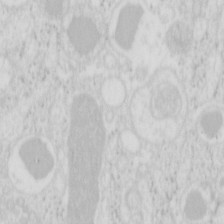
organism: Mouse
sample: Pancreas